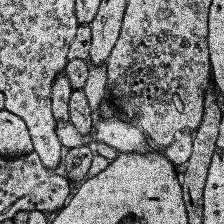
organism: Human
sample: Temporal Lobe